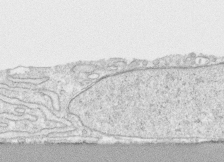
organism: Human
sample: CRL-1474